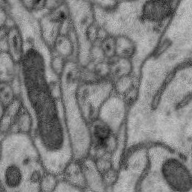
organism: Zebra finch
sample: Brain